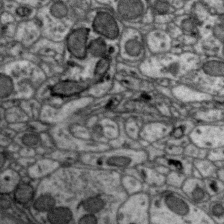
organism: Zebra finch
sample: Brain